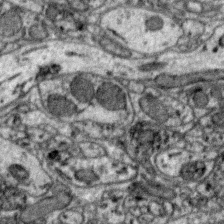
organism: Zebra finch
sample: Brain